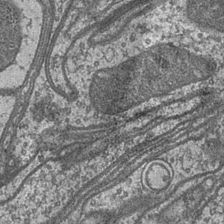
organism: Drosophila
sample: Optic medulla